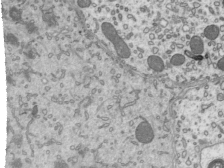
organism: Mouse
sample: Mouse epididymis efferent ductule cilia